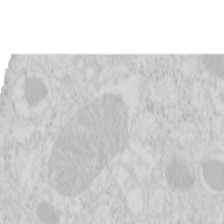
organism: Mouse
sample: Pancreas